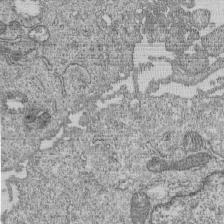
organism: Human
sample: MDA-MB-231 cells